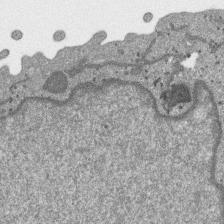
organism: Human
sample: Lung epithelial cells infected with SARS-CoV-2